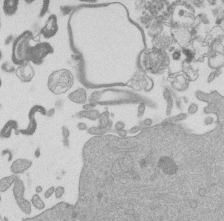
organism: Mouse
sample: Dividing mouse embryo 1 cell stage